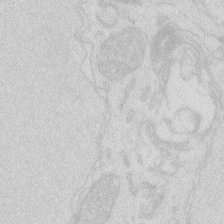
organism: Zebrafish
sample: Macrophage